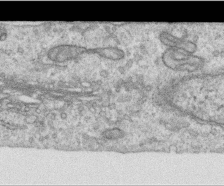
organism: Human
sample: Centriole in RPE cells